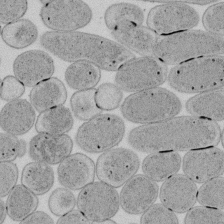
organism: E. coli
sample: Bacterial nucleoid